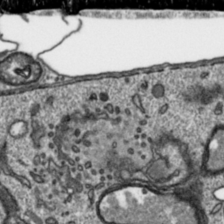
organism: Toxoplasma gondii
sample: Parasites in a vacuole inside a host cell